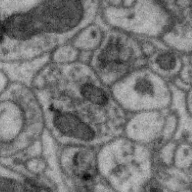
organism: Zebra finch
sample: Brain